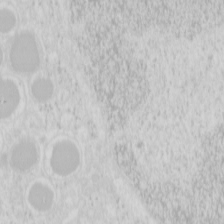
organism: Mouse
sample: Pancreas